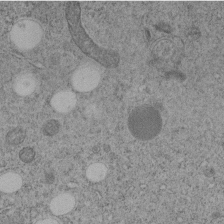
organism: C. elegans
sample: C. elegans embryo early stage